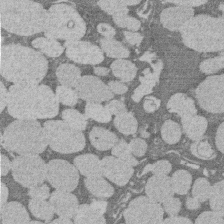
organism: Rat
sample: Salivary granule